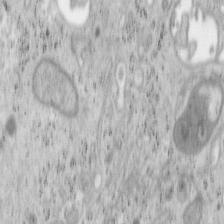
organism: Human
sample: HeLa cells